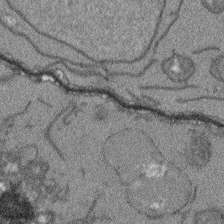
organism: Arabidopsis thaliana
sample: Root tip